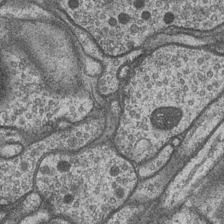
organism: Drosophila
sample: Optic medulla